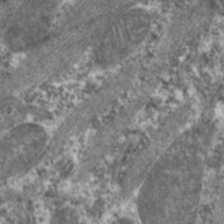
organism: C. elegans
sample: Pharynx